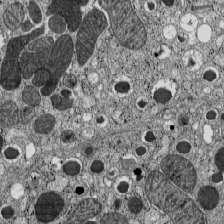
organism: C57BL Mouse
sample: Pancreatic islet